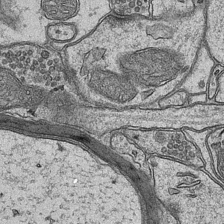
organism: Mouse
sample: CA1 Hippocampus